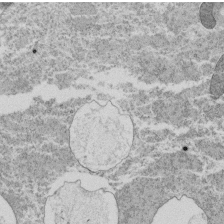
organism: Tetrahymena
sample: Cilia in tetrahymena